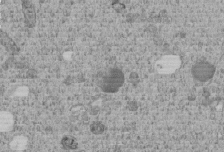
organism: C. elegans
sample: C. elegans embryo early stage